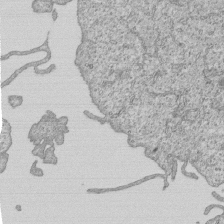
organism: Human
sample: MDA-MB-231 cells